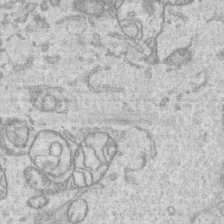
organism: Human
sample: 1205lu cells